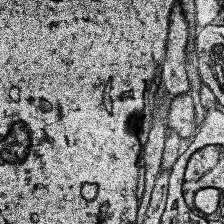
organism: Human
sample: Temporal Lobe